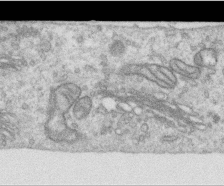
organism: Human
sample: Centriole in RPE cells